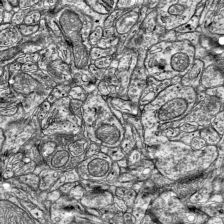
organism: Mouse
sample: Visual Cortex